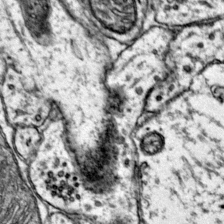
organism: Mouse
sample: Primary visual cortex